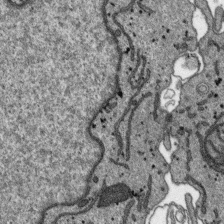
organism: Human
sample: Lung epithelial cells, uninfected (mock) control